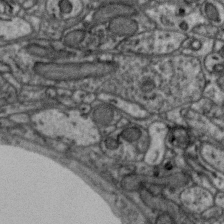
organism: Zebra finch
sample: Brain